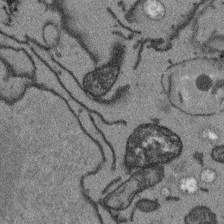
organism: Arabidopsis thaliana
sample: Root tip